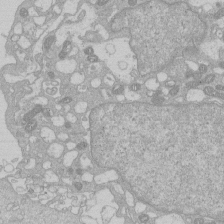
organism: Human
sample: Macrophage cells